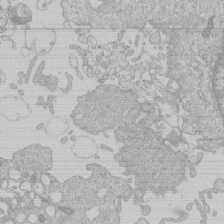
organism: Human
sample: Macrophage cells